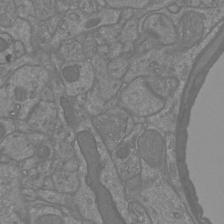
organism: Mouse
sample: Cortical neurons